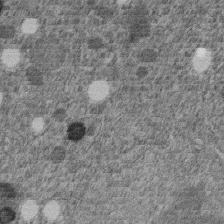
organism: C. elegans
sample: C. elegans embryo early stage